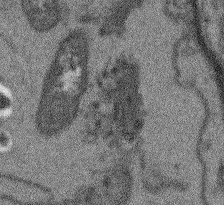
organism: Arabidopsis thaliana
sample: Root tip